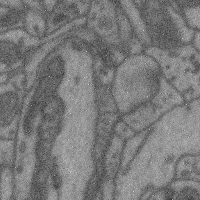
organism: Mouse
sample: Cerebral cortex